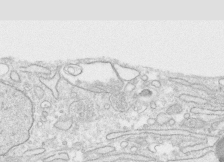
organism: Human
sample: CRL-1474